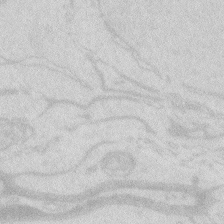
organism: Zebrafish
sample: Macrophage